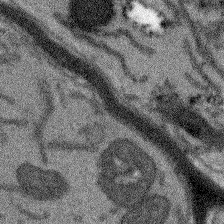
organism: Arabidopsis thaliana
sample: Root tip